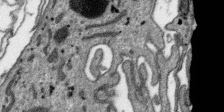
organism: Human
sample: Lung epithelial cells, uninfected (mock) control